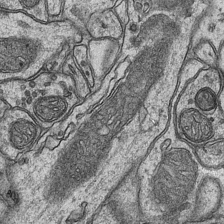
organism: Mouse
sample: CA1 Hippocampus